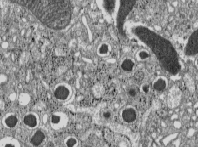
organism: C57BL Mouse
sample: Pancreatic islet